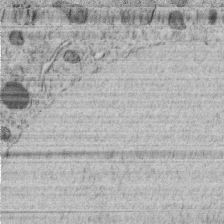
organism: C. elegans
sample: C. elegans embryo early stage